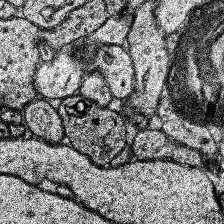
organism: Human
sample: Temporal Lobe